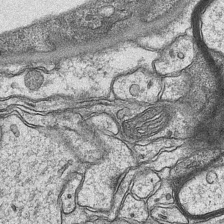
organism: Mouse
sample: CA1 Hippocampus